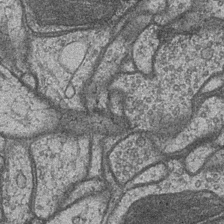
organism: Drosophila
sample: Optic medulla